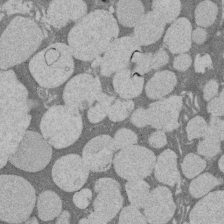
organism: Rat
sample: Salivary granule